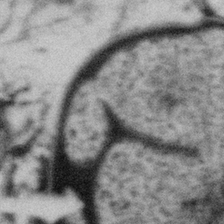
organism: Gemmata obscuriglobus